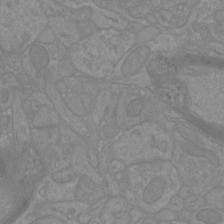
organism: Mouse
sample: Cortical neurons